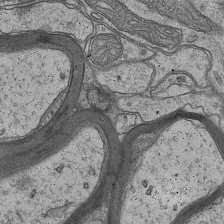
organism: Mouse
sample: CA1 Hippocampus